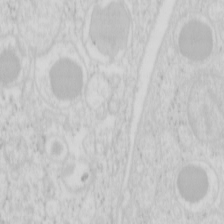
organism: Mouse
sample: Pancreas